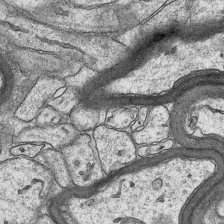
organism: Mouse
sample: CA1 Hippocampus